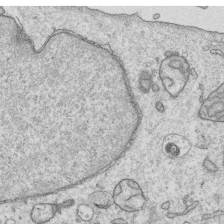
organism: Human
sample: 1205lu cells